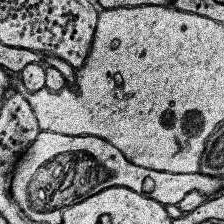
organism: Human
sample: Temporal Lobe